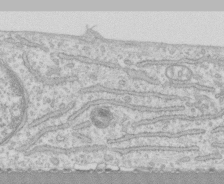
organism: Human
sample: CRL-1474